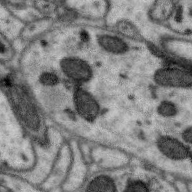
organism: Zebra finch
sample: Brain